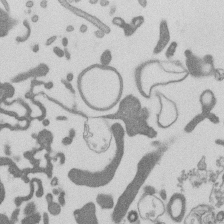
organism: Mouse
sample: Dividing mouse embryo 1 cell stage